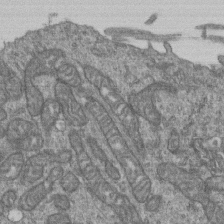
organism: Human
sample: Retinal organoid Rod and Cone cells